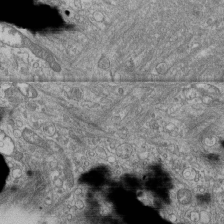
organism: Human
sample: Fibroblast cells